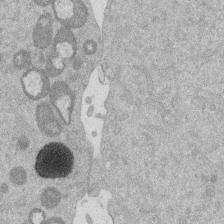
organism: Mouse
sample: Dividing mouse embryo 1 cell stage